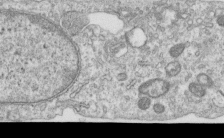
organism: Human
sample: Centriole in RPE cells